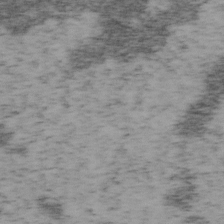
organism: Mouse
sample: OT-I killer T cells with ID8 ovarian cancer cells